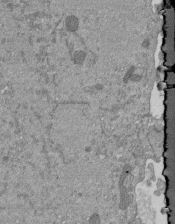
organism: Mouse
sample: ED-1 cell nuclei; centrioles